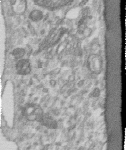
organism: Human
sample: Centriole in RPE cells